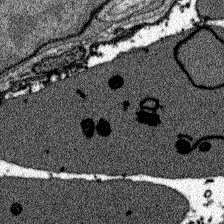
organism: Zebrafish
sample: Larval olfactory bulb